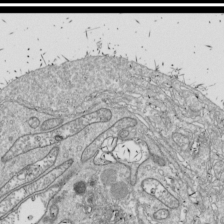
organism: Drosophila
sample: Cell division; meiosis; drosophila spermatocytes